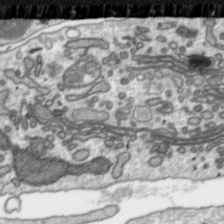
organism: Toxoplasma gondii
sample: Parasites in a vacuole inside a host cell